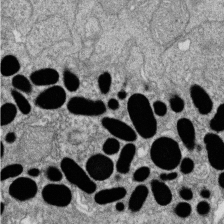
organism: Zebrafish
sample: Cilia; retinal pigment epithelium